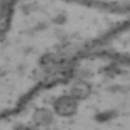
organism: Drosophila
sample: Brain